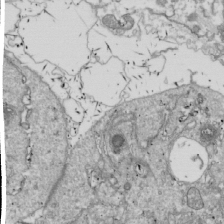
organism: Drosophila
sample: Cell division; meiosis; drosophila spermatocytes